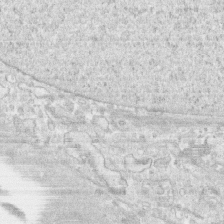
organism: Human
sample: CRL-1474